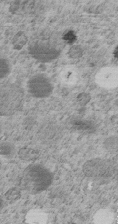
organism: C. elegans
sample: C. elegans embryo early stage